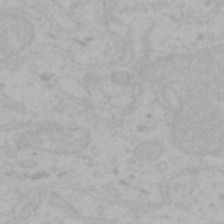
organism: Mouse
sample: Choroid plexus